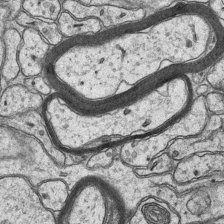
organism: Mouse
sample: CA1 Hippocampus